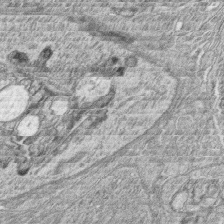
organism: Zebrafish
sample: synaptic ribbons in rod cells and cone cells